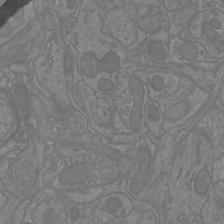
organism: Mouse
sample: Cortical neurons